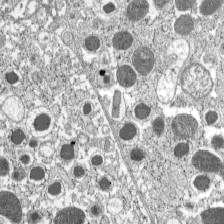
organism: C57BL Mouse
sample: Pancreatic islet